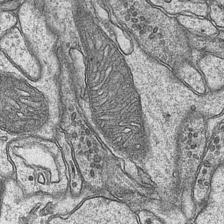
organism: Mouse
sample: CA1 Hippocampus